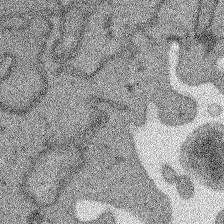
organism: Human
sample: HeLa cells